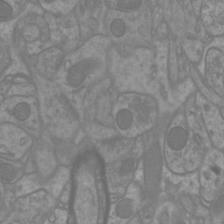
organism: Mouse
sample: Cortical neurons